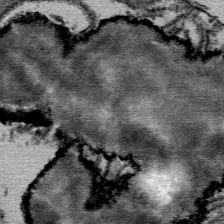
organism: Mouse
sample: Mouse Salivary gland